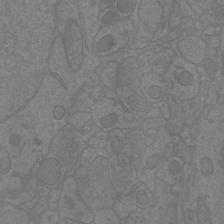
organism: Mouse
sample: Cortical neurons